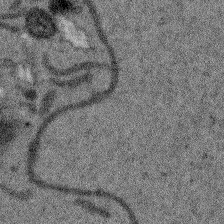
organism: Arabidopsis thaliana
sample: Root tip